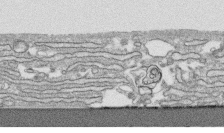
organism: Human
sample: CRL-1474